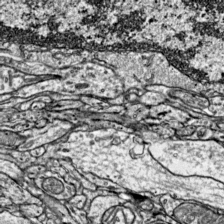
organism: Mouse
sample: Visual Cortex